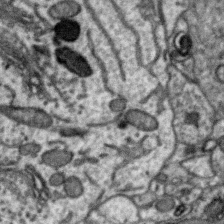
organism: Zebra finch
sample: Brain